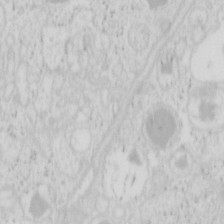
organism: Mouse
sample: Pancreas